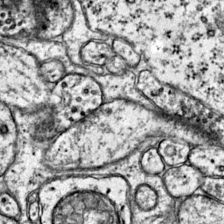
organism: Mouse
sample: Primary visual cortex